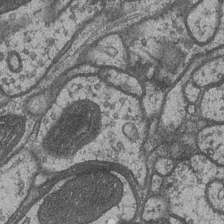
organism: Drosophila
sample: Optic medulla